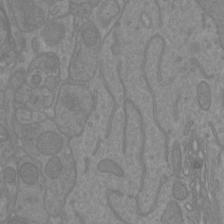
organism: Mouse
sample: Cortical neurons